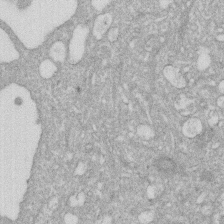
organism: Human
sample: HIV infected U937 cells